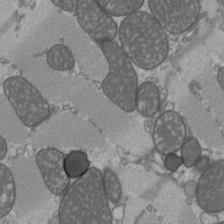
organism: C57BL Mouse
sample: Heart